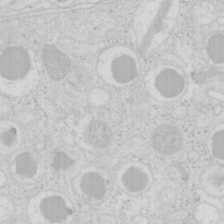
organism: Mouse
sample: Pancreas